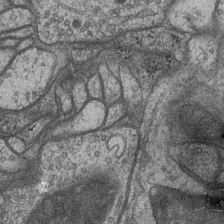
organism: Drosophila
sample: Optic medulla